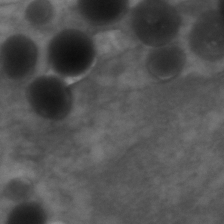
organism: Zebrafish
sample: Zebrafish embryo